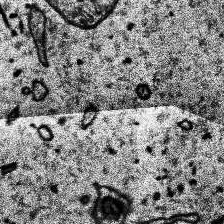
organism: Human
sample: Temporal Lobe